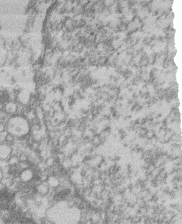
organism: Mouse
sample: T cell stromal cell synapse